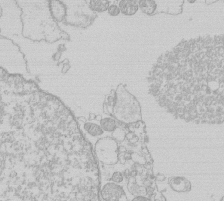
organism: Human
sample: Macrophage cells